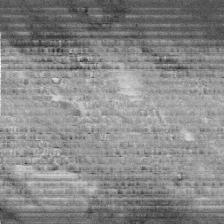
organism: Human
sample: Centriole in fibroblast cells